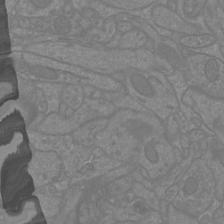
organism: Mouse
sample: Cortical neurons